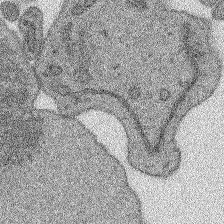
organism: Human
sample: HeLa cells